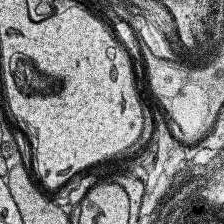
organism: Human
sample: Temporal Lobe